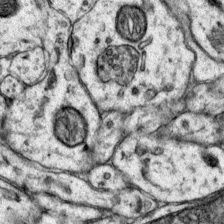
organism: Mouse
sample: Primary visual cortex